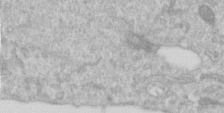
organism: Human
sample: Centriole in RPE cells